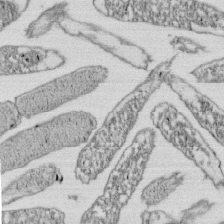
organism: E. coli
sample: Bacterial nucleoid